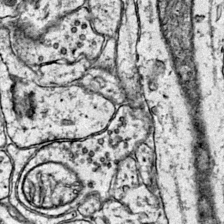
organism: Mouse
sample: Primary visual cortex